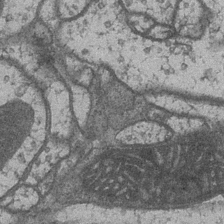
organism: Drosophila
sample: Optic medulla